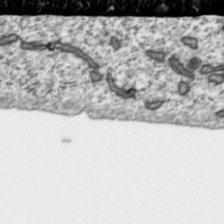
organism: Toxoplasma gondii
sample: Parasites in a vacuole inside a host cell